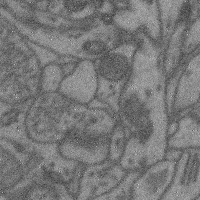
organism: Mouse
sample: Cerebral cortex